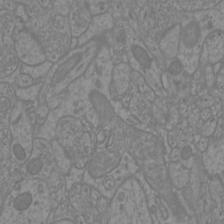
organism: Mouse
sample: Cortical neurons